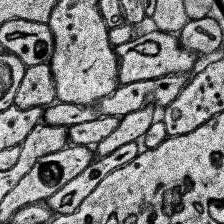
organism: Human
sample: Temporal Lobe